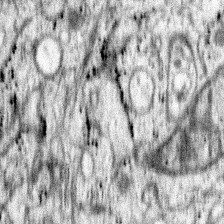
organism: Human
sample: HeLa cells